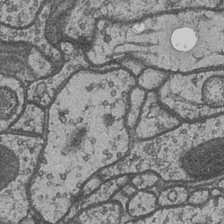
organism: Drosophila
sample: Optic medulla